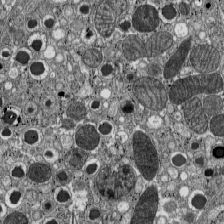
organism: C57BL Mouse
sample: Pancreatic islet